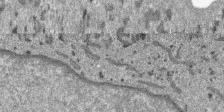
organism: Human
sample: Lung epithelial cells infected with SARS-CoV-2